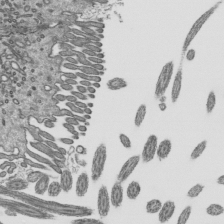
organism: Mouse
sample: Mouse epididymis efferent ductule cilia